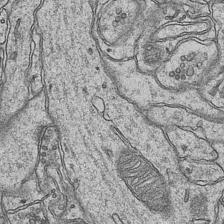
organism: Mouse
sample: CA1 Hippocampus